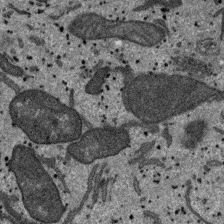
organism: Human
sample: Lung epithelial cells, uninfected (mock) control